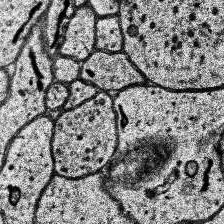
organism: Human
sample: Temporal Lobe